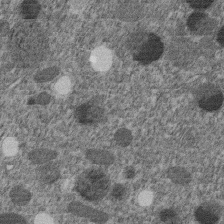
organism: C. elegans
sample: C. elegans embryo early stage